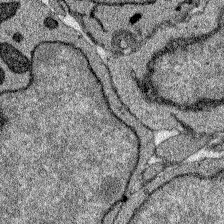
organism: Zebrafish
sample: Larval olfactory bulb